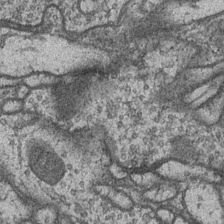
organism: Drosophila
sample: Optic medulla